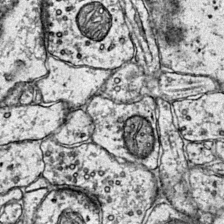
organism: Mouse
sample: Primary visual cortex